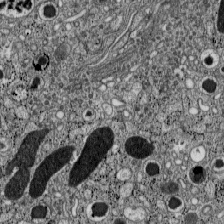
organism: C57BL Mouse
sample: Pancreatic islet